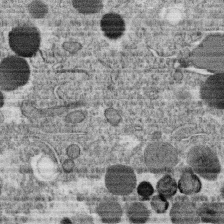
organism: C. elegans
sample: C. elegans oocyte; sperm cells